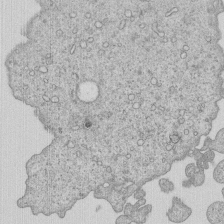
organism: Human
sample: MDA-MB-231 cells